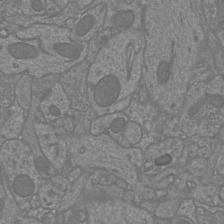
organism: Mouse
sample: Cortical neurons